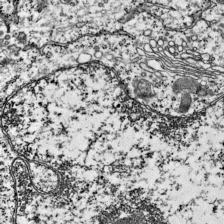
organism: Mouse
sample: Visual Cortex